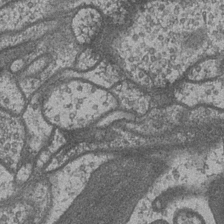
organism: Drosophila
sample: Optic medulla